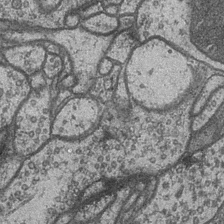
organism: Drosophila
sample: Optic medulla